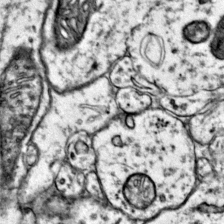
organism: Mouse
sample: Primary visual cortex